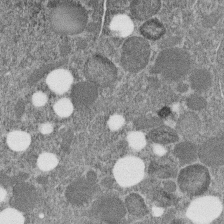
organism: C. elegans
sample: C. elegans embryo early stage